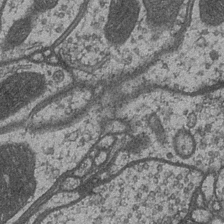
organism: Drosophila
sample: Optic medulla